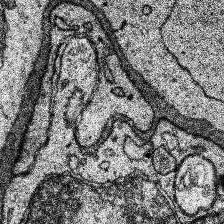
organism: Human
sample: Temporal Lobe